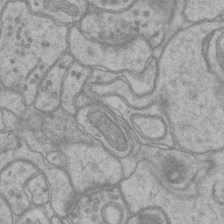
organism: Mouse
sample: CA1 Hippocampus